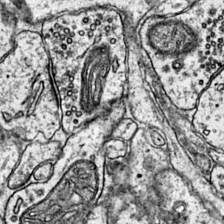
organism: Mouse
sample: Primary visual cortex